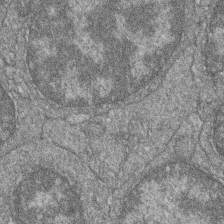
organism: Zebrafish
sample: Cilia; retinal pigment epithelium